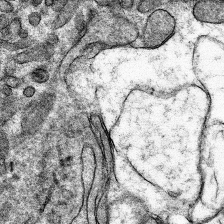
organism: Mouse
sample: Mouse hepatocytes